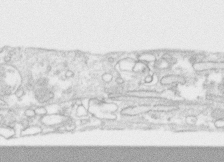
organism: Human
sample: CRL-1474